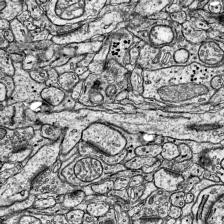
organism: Mouse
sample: Visual Cortex